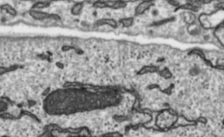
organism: Toxoplasma gondii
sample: Parasites in a vacuole inside a host cell